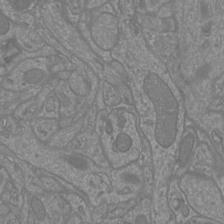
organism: Mouse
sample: Cortical neurons